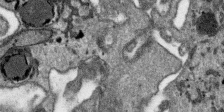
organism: Human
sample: Lung epithelial cells, uninfected (mock) control